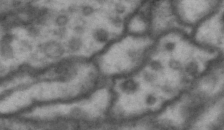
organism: Drosophila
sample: Brain